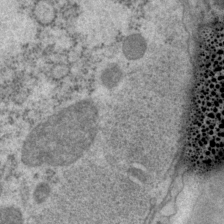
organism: P. pacificus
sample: Pharynx